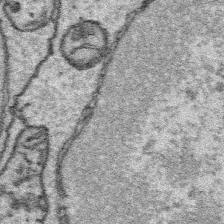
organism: Platynereis dumerilii